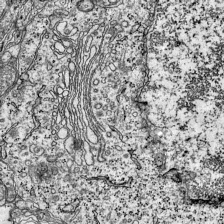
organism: Mouse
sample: Visual Cortex